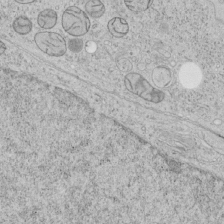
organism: Human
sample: Mitochondria in HCT116 cells